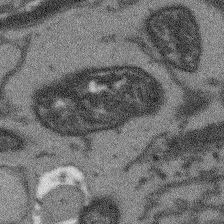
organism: Arabidopsis thaliana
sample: Root tip